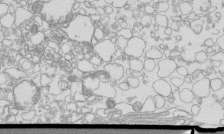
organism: Mouse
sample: Macrophages